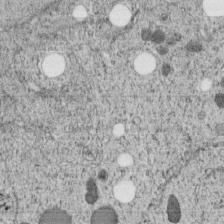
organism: C. elegans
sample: C. elegans embryo early stage